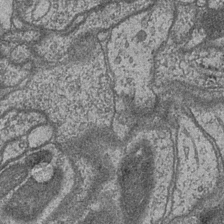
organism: Drosophila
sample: Optic medulla